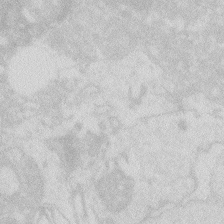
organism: Zebrafish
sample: Macrophage